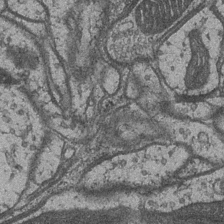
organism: Drosophila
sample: Optic medulla